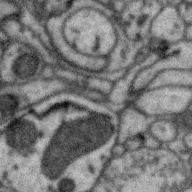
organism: Zebra finch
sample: Brain